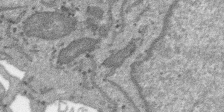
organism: Human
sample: Lung epithelial cells infected with SARS-CoV-2